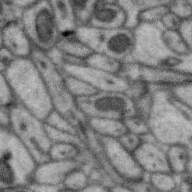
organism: Zebra finch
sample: Brain